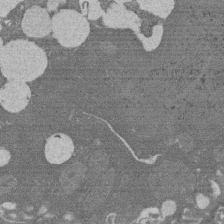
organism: Rat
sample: Salivary granule